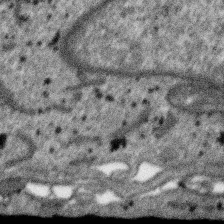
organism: Human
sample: Lung epithelial cells infected with SARS-CoV-2